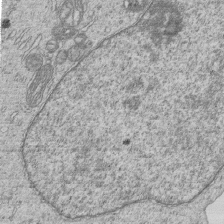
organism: Human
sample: MDA-MB-231 cells